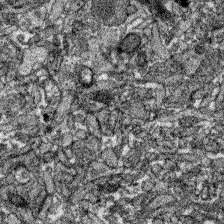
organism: Zebrafish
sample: Larval olfactory bulb